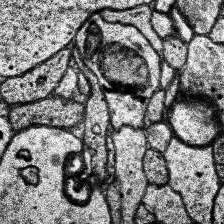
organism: Human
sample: Temporal Lobe